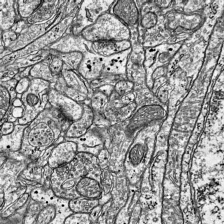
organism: Mouse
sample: Visual Cortex